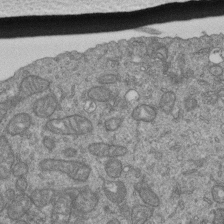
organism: Human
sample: Retinal organoid Rod and Cone cells